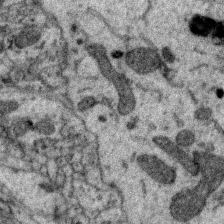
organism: Zebra finch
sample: Brain